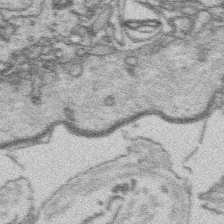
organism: Platynereis dumerilii